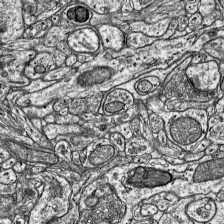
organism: Mouse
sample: Visual Cortex